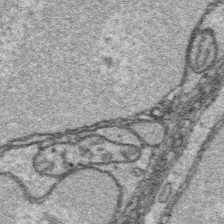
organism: Platynereis dumerilii